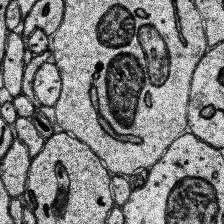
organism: Human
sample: Temporal Lobe